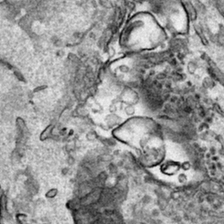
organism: Human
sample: Mitochondria in HCT116 cells